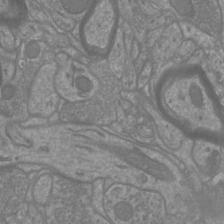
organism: Mouse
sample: Cortical neurons